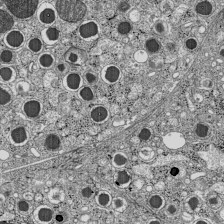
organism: C57BL Mouse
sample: Pancreatic islet